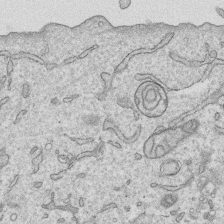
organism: Human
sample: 1205lu cells